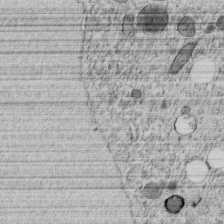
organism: C. elegans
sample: C. elegans embryo early stage